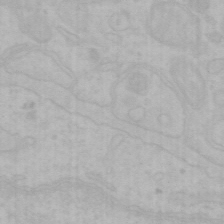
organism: Mouse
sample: Choroid plexus